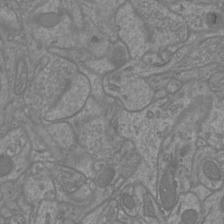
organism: Mouse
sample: Cortical neurons